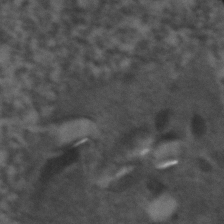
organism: Zebrafish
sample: Zebrafish embryo